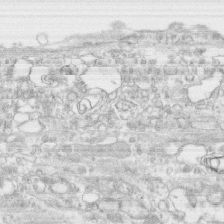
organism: Human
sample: CRL-1474